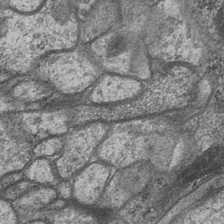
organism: Drosophila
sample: Optic medulla